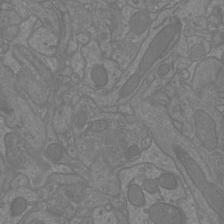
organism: Mouse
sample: Cortical neurons